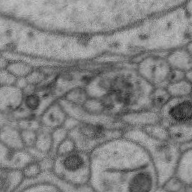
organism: Zebra finch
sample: Brain